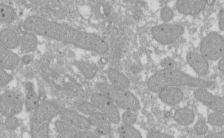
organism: Xenopus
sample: Cilia; centrioles in frog embryo cells